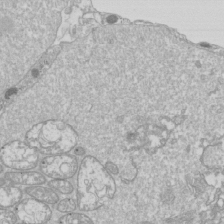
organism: Drosophila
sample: Cell division; meiosis; drosophila spermatocytes